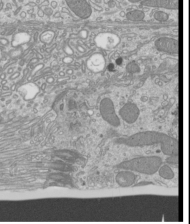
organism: Mouse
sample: Cilia; mouse epididymis